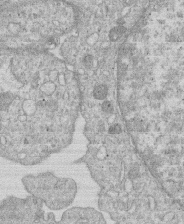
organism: Human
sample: Macrophage cells